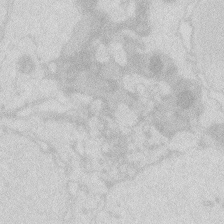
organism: Zebrafish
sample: Macrophage